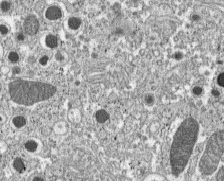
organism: C57BL Mouse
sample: Pancreatic islet